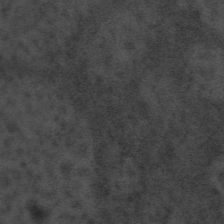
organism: Tuwongella immobilis